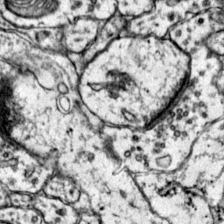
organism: Mouse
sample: Primary visual cortex